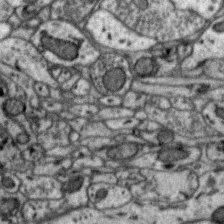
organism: Zebra finch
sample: Brain